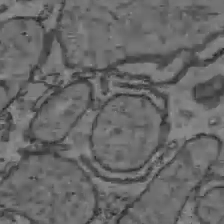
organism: C57BL Mouse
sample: Liver